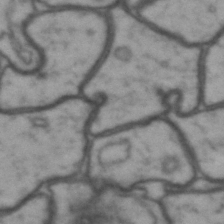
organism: Drosophila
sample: Brain